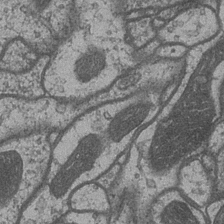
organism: Drosophila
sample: Optic medulla